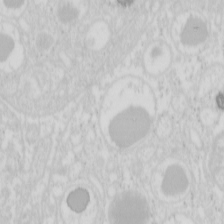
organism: Mouse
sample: Pancreas